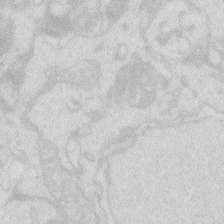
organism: Zebrafish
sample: Macrophage